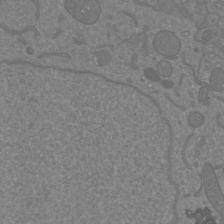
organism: Mouse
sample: Cortical neurons